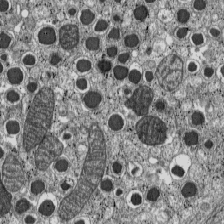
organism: C57BL Mouse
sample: Pancreatic islet